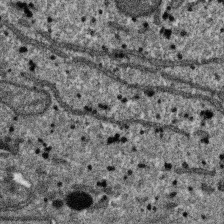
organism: Human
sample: Lung epithelial cells infected with SARS-CoV-2